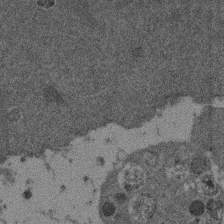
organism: Mouse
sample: Dividing mouse embryo 1 cell stage